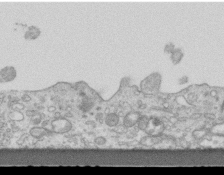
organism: Mouse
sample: Centriole in ependymal cells